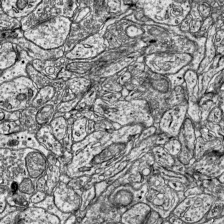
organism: Mouse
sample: Visual Cortex